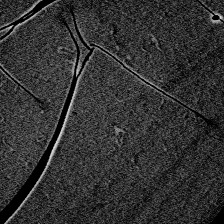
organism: Zebrafish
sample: Whole-Brain